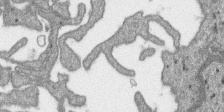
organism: Human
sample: Lung epithelial cells infected with SARS-CoV-2